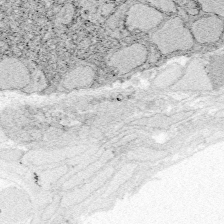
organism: Zebrafish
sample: Whole-Brain